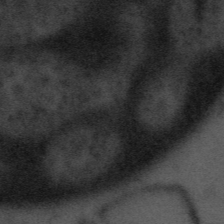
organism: Tuwongella immobilis